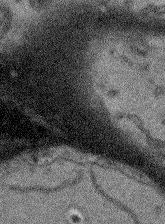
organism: Arabidopsis thaliana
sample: Root tip